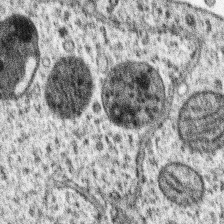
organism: Human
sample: HeLa cells